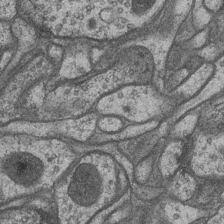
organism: Drosophila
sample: Optic medulla